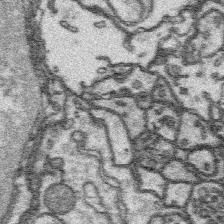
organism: Platynereis dumerilii